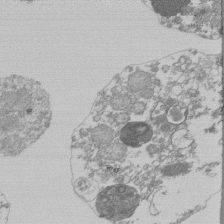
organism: Mouse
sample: Activated Pmel transgenic CD8+ T Cells